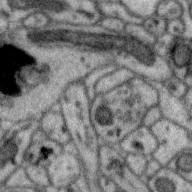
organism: Zebra finch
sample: Brain